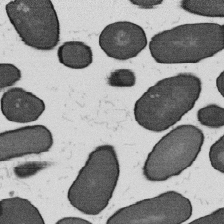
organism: B. subtilis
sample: Bacterial spore